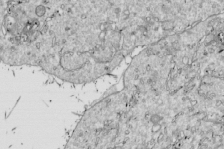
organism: Drosophila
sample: Cell division; meiosis; drosophila spermatocytes